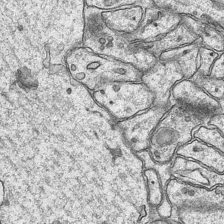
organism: Mouse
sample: CA1 Hippocampus